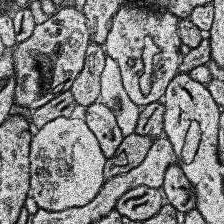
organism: Human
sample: Temporal Lobe